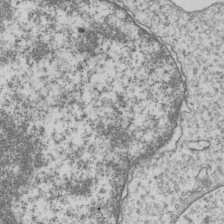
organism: Human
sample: MDA-MB-231 cells